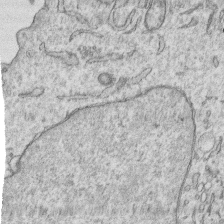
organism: Human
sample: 1205lu cells